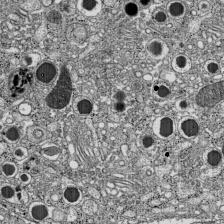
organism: C57BL Mouse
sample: Pancreatic islet